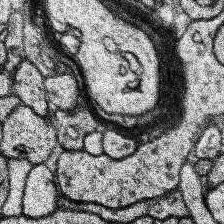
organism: Human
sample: Temporal Lobe